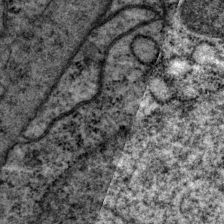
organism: P. pacificus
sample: Pharynx